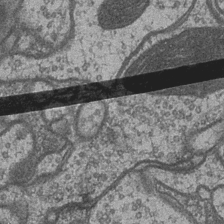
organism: Drosophila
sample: Optic medulla